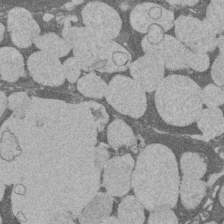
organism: Rat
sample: Salivary granule